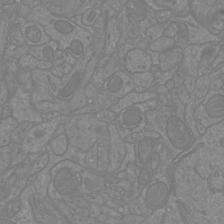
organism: Mouse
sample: Cortical neurons